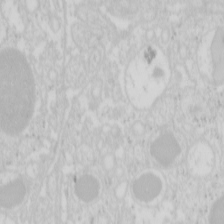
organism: Mouse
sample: Pancreas